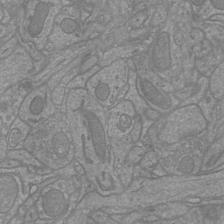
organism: Mouse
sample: Cortical neurons